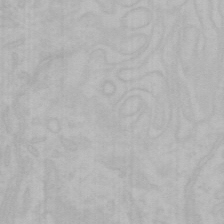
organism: Mouse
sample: Choroid plexus